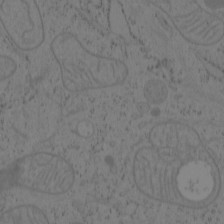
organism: Human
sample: HeLa cells